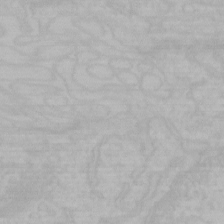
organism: Mouse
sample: Choroid plexus